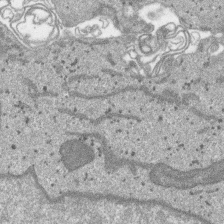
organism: Human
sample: Lung epithelial cells infected with SARS-CoV-2